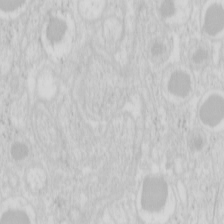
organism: Mouse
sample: Pancreas